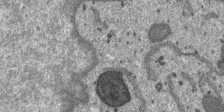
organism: Human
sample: Lung epithelial cells infected with SARS-CoV-2